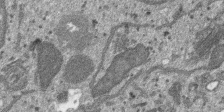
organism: Human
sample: Lung epithelial cells infected with SARS-CoV-2